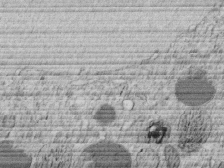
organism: C. elegans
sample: C. elegans embryo early stage